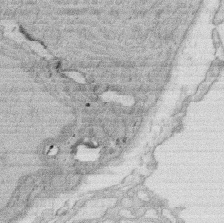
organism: Rat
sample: Salivary granule